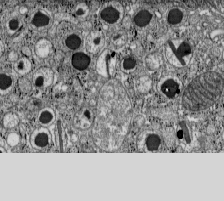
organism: C57BL Mouse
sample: Pancreatic islet